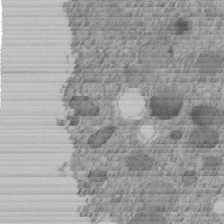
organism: C. elegans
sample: C. elegans embryo early stage